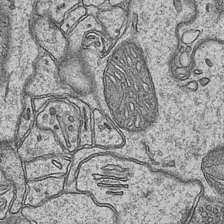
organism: Mouse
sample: CA1 Hippocampus